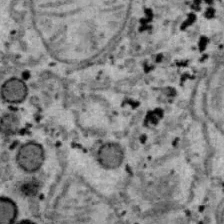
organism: Mouse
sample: Liver from an obese (ob/ob) mouse